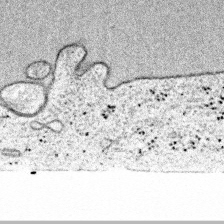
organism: Human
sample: HeLa cells